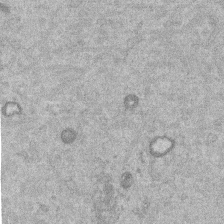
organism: Mouse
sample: Dividing mouse embryo 1 cell stage